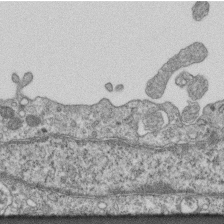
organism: Mouse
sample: Centriole in ependymal cells